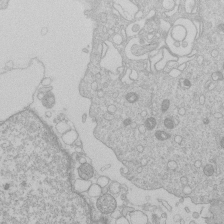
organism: Human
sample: Macrophage cells